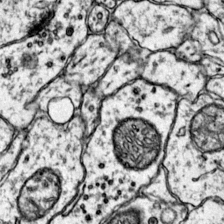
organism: Mouse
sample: Primary visual cortex